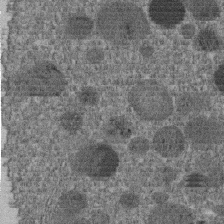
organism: C. elegans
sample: C. elegans embryo early stage